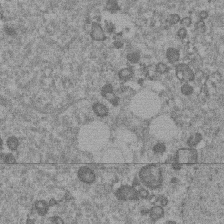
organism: Mouse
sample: Dividing mouse embryo 1 cell stage